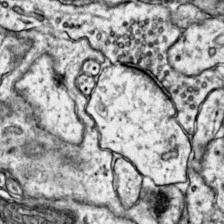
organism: Mouse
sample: Primary visual cortex